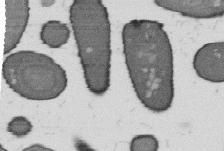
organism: B. subtilis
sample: Bacterial spore